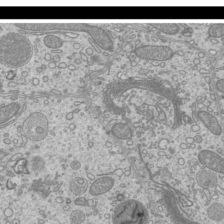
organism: Mouse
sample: Cilia; mouse epididymis